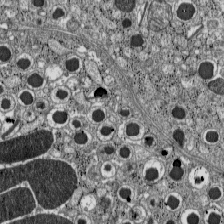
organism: C57BL Mouse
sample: Pancreatic islet